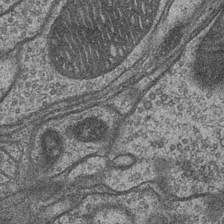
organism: Drosophila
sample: Optic medulla